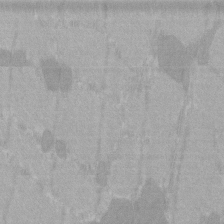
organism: C57BL Mouse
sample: Tibialis anterior muscle cell